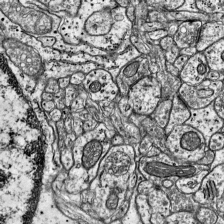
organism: Mouse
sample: Visual Cortex